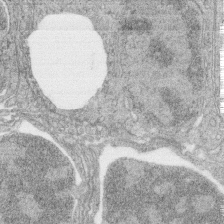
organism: Zebrafish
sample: synaptic ribbons in rod cells and cone cells